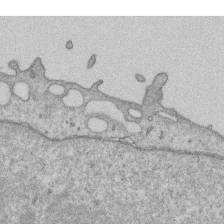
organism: Human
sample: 1205lu cells